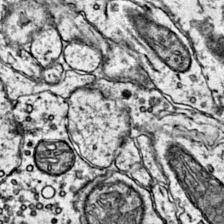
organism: Mouse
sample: Primary visual cortex